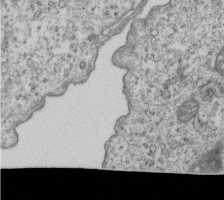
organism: Human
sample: MDA-MB-231 cells